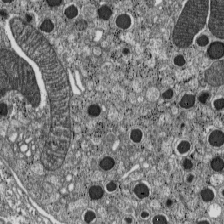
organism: C57BL Mouse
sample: Pancreatic islet